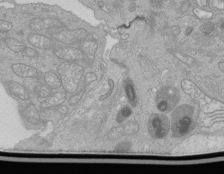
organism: Human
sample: Retinal organoid Rod and Cone cells